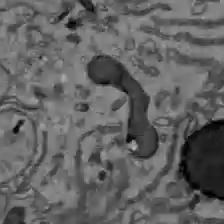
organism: C57BL Mouse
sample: Liver